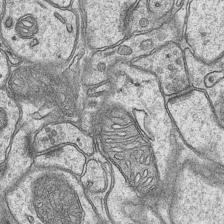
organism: Mouse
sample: CA1 Hippocampus